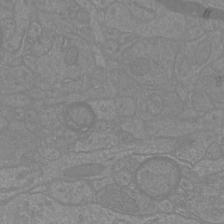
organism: Mouse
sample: Cortical neurons